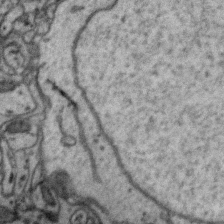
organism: Zebra finch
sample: Brain